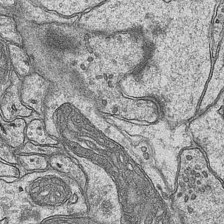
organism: Mouse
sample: CA1 Hippocampus